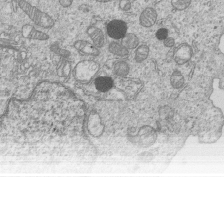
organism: Human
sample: MDA-MB-231 cells